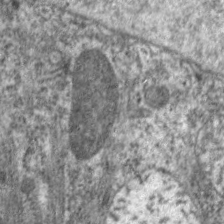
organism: C. elegans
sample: Pharynx